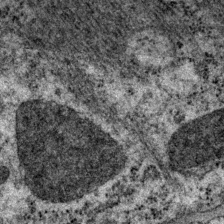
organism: P. pacificus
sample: Pharynx